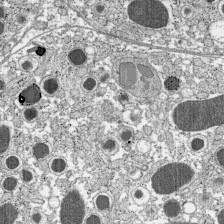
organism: C57BL Mouse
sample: Pancreatic islet